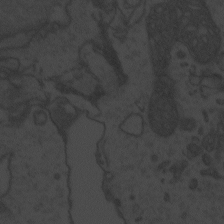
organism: Zebrafish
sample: Macrophage infected with Toxoplasma gondii